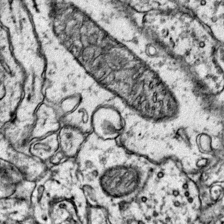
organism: Mouse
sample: Primary visual cortex